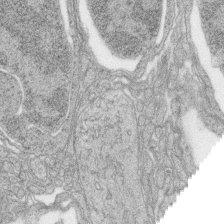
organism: Zebrafish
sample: synaptic ribbons in rod cells and cone cells